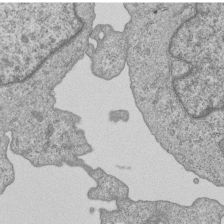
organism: Human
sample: MDA-MB-231 cells